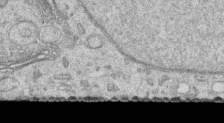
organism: Human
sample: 1205lu cells